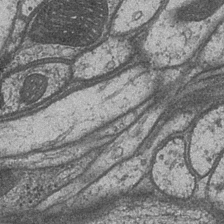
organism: Drosophila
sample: Optic medulla